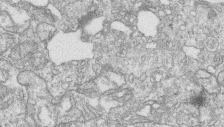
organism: Human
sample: HeLa cell HIV synapse